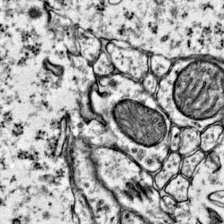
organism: Mouse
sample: Primary visual cortex